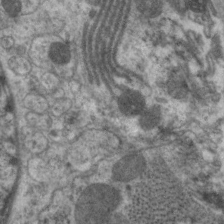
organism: C. elegans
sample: Pharynx